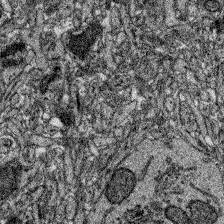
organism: Zebrafish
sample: Larval olfactory bulb